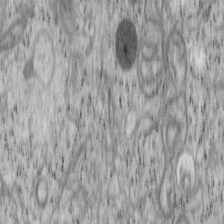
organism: Human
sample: HeLa cells